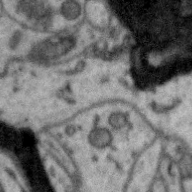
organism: Zebra finch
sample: Brain